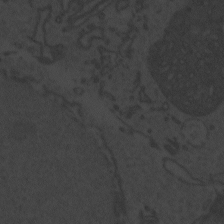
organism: Zebrafish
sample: Macrophage infected with Toxoplasma gondii